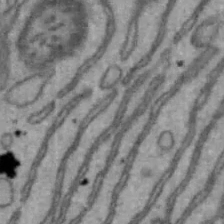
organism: Mouse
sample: Liver